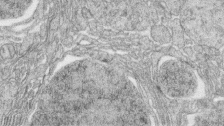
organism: Zebrafish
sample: synaptic ribbons in rod cells and cone cells